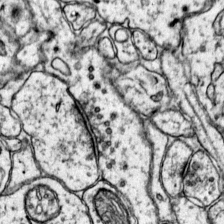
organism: Mouse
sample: Primary visual cortex